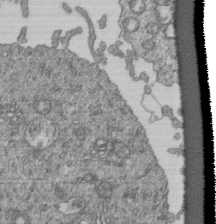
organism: Human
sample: Retinal organoid Rod and Cone cells